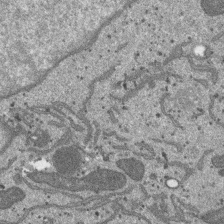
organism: Human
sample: Lung epithelial cells infected with SARS-CoV-2